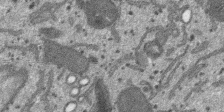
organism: Human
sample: Lung epithelial cells infected with SARS-CoV-2